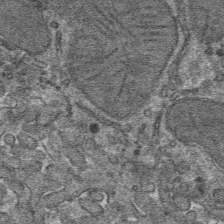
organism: Mouse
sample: Mouse hepatocytes